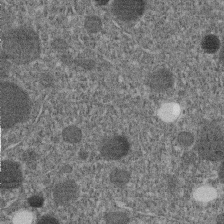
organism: C. elegans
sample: C. elegans embryo early stage